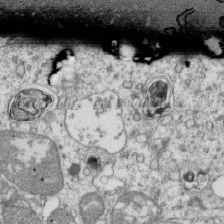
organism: Mouse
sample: Activated OT-1 CD8+ T cells